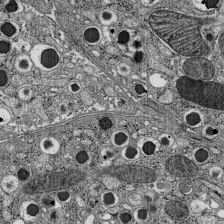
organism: C57BL Mouse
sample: Pancreatic islet